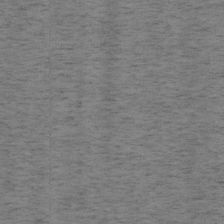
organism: Mouse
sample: OT-I killer T cells with ID8 ovarian cancer cells